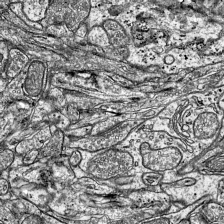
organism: Mouse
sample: Visual Cortex